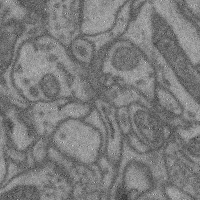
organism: Mouse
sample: Cerebral cortex